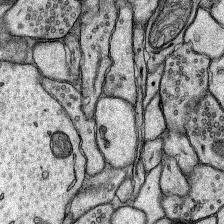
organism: Rat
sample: Hippocampus